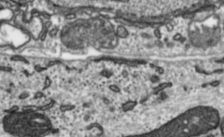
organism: Toxoplasma gondii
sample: Parasites in a vacuole inside a host cell